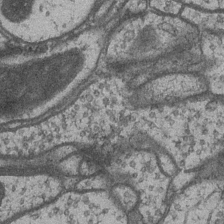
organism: Drosophila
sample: Optic medulla